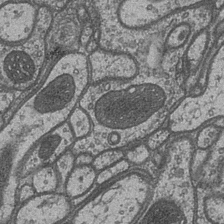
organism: Drosophila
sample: Optic medulla